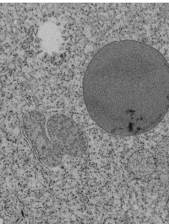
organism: Tetrahymena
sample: Cilia in tetrahymena